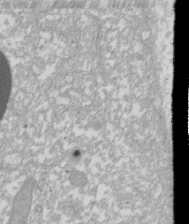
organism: Xenopus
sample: Cilia; centrioles in frog embryo cells